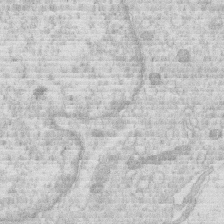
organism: Human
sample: Macrophage cells